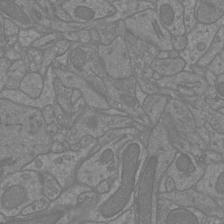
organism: Mouse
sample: Cortical neurons